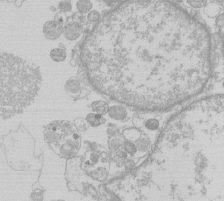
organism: Human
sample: Macrophage cells